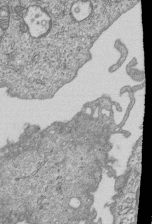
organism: Human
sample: MDA-MB-231 cells